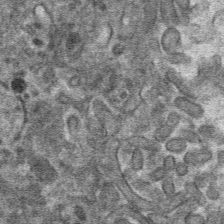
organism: Mouse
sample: Mouse hepatocytes